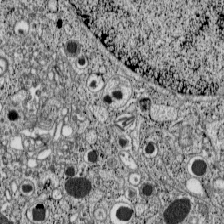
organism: C57BL Mouse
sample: Pancreatic islet